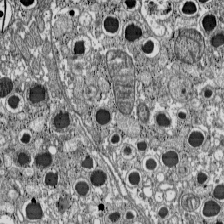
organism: C57BL Mouse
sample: Pancreatic islet